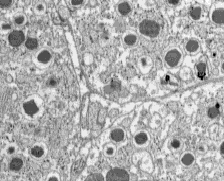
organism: C57BL Mouse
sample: Pancreatic islet